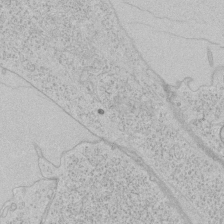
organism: Human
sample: Mitochondria in HCT116 cells